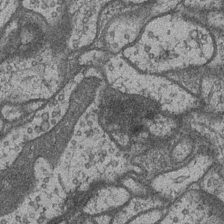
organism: Drosophila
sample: Optic medulla